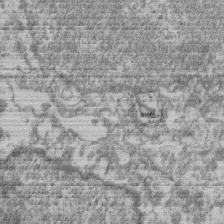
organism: Mouse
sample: T cell stromal cell synapse